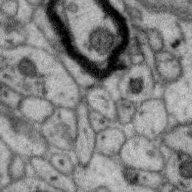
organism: Zebra finch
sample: Brain